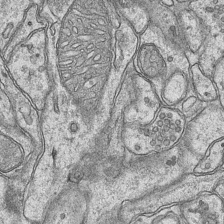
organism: Mouse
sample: CA1 Hippocampus